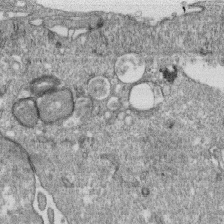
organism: African green monkey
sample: Vero E6 cells infected with SARS-CoV-2